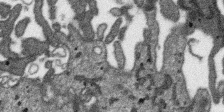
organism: Human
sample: Lung epithelial cells infected with SARS-CoV-2